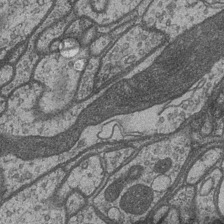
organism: Drosophila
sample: Optic medulla